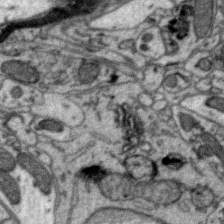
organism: Zebra finch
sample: Brain